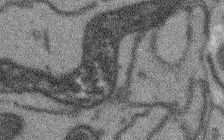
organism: Arabidopsis thaliana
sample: Root tip